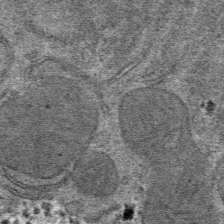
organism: Mouse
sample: Mouse hepatocytes